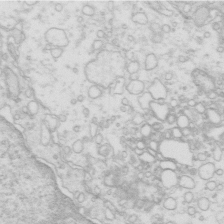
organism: Mouse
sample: Multiciliated cells